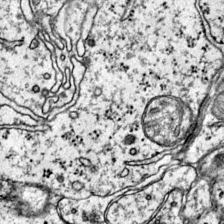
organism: Mouse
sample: Primary visual cortex